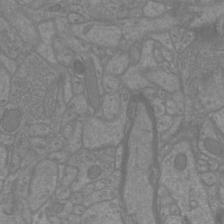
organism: Mouse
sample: Cortical neurons